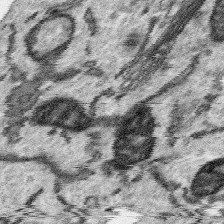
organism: Human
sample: HeLa cells